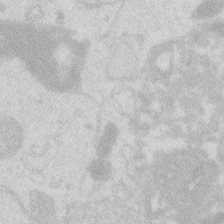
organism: Zebrafish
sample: Macrophage